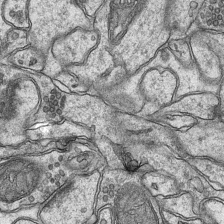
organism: Mouse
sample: CA1 Hippocampus